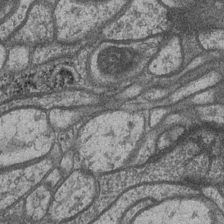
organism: Drosophila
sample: Optic medulla